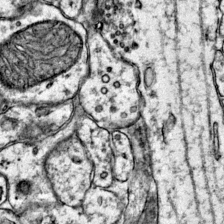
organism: Mouse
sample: Primary visual cortex